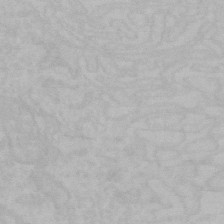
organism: Mouse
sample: Choroid plexus